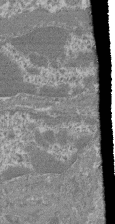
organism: Mouse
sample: Glomerulus